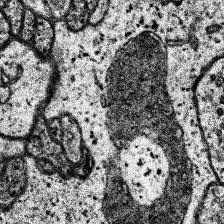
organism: Human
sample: Temporal Lobe